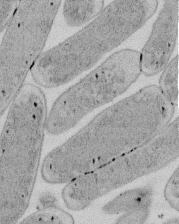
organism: E. coli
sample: Bacterial nucleoid